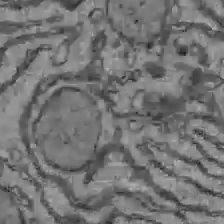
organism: C57BL Mouse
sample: Liver